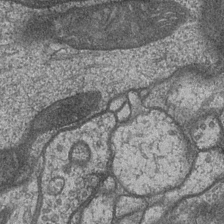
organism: Drosophila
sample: Optic medulla